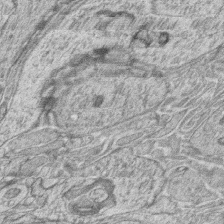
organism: Zebrafish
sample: synaptic ribbons in rod cells and cone cells